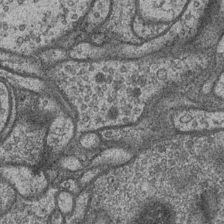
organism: Drosophila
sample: Optic medulla